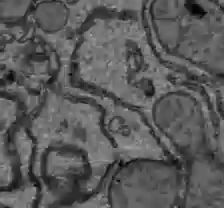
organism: C57BL Mouse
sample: Liver